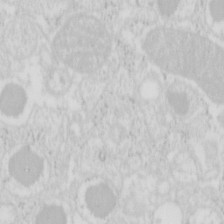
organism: Mouse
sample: Pancreas